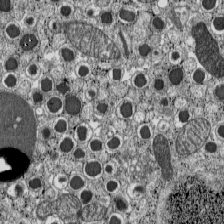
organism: C57BL Mouse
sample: Pancreatic islet